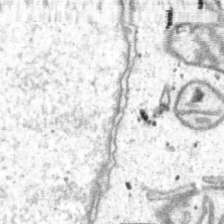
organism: Human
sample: HeLa cells